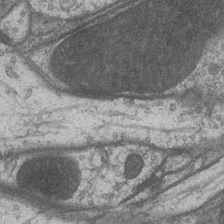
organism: Drosophila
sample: Optic medulla